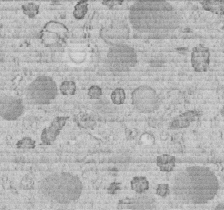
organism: C. elegans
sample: C. elegans embryo early stage